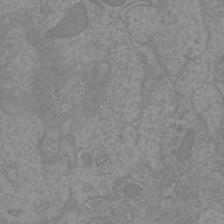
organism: Mouse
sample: Cortical neurons